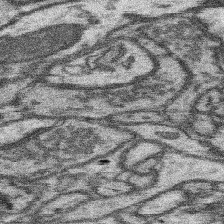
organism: Mouse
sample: Somatosensory cortex neuropil